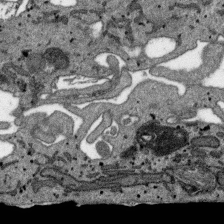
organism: Human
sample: Lung epithelial cells, uninfected (mock) control